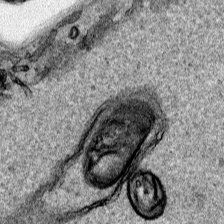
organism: Human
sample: Mitochondria in HCT116 cells